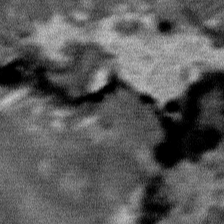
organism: Mouse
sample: Mouse Salivary gland